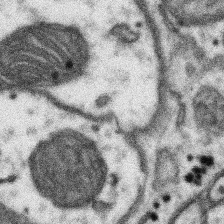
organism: Mouse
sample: Somatosensory cortex neuropil